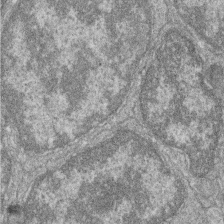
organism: Zebrafish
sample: Cilia; retinal pigment epithelium